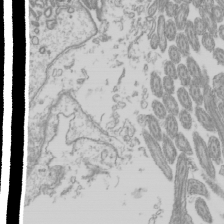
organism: Mouse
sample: Cilia; mouse epididymis